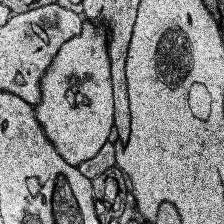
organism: Human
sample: Temporal Lobe